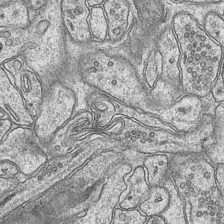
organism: Mouse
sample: CA1 Hippocampus